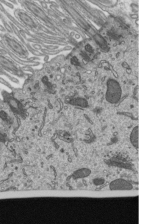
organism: Mouse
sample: Mouse epididymis efferent ductule cilia